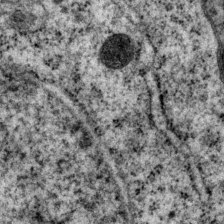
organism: P. pacificus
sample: Pharynx